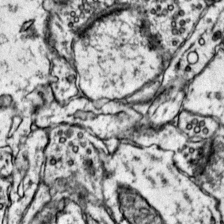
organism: Mouse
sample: Primary visual cortex